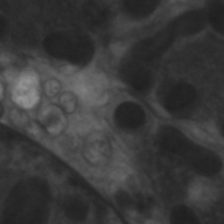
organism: C. elegans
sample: Pharynx